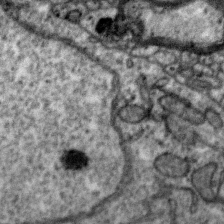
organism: Zebra finch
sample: Brain